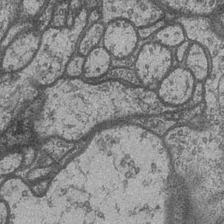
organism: Drosophila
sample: Optic medulla